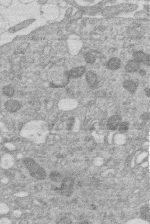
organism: Human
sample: Macrophage cells